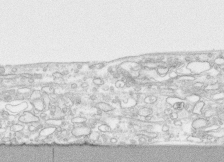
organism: Human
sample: CRL-1474